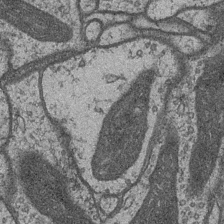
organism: Drosophila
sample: Optic medulla